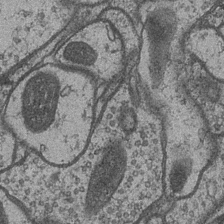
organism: Drosophila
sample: Optic medulla